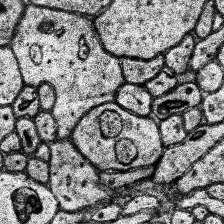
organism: Human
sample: Temporal Lobe